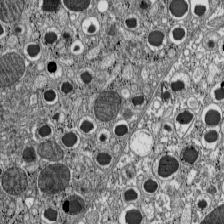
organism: C57BL Mouse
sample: Pancreatic islet